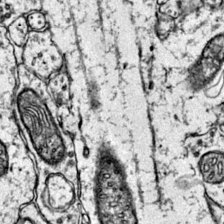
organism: Mouse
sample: Primary visual cortex